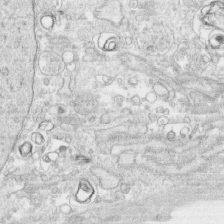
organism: Human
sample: CRL-1474